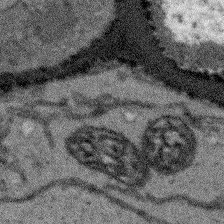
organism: Arabidopsis thaliana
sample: Root tip